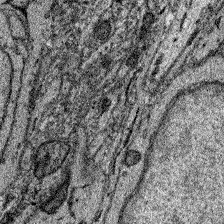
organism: Zebrafish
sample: Larval olfactory bulb